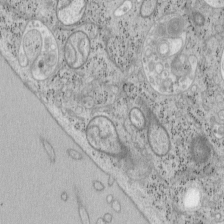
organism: Mouse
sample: OT-I killer T cells with ID8 ovarian cancer cells